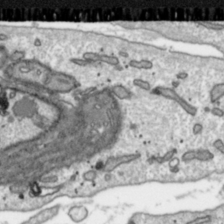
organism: Toxoplasma gondii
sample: Parasites in a vacuole inside a host cell